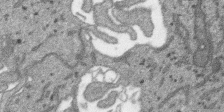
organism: Human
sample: Lung epithelial cells infected with SARS-CoV-2